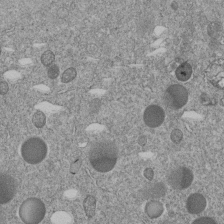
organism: C. elegans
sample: C. elegans embryo early stage